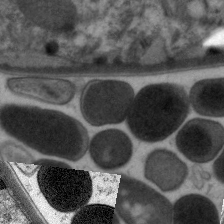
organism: C. elegans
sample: Pharynx